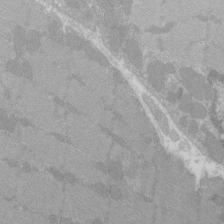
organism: C57BL Mouse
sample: Tibialis anterior muscle cell